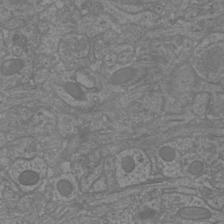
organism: Mouse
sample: Cortical neurons